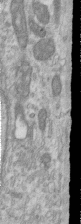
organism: Human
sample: Centriole in RPE cells